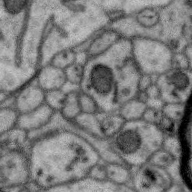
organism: Zebra finch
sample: Brain